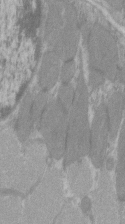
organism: C57BL Mouse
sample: Tibialis anterior muscle cell